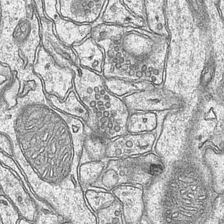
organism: Mouse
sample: CA1 Hippocampus